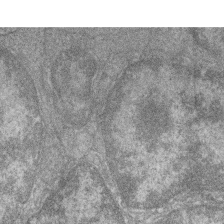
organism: Zebrafish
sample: Cilia; retinal pigment epithelium